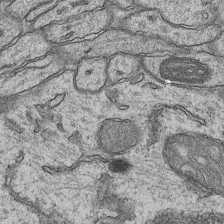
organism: Mouse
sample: CA1 Hippocampus